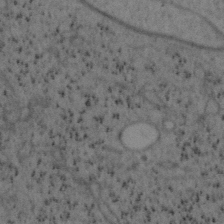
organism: Human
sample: HeLa cells